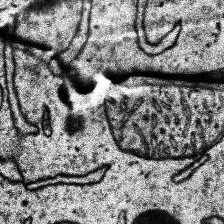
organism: Human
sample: Temporal Lobe